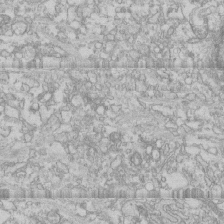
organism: Human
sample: CRL-1474